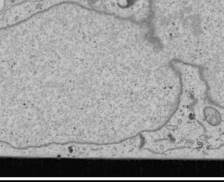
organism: Human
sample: Mitochondria in U2OS cells